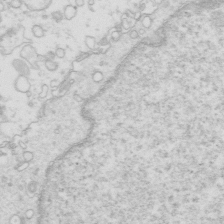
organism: Mouse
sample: Multiciliated cells